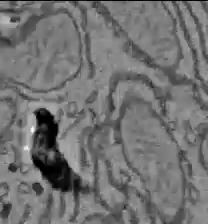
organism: C57BL Mouse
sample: Liver